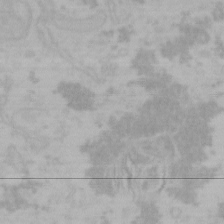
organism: Mouse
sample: Choroid plexus